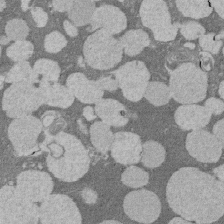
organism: Rat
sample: Salivary granule